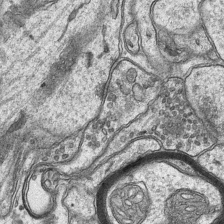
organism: Mouse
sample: CA1 Hippocampus